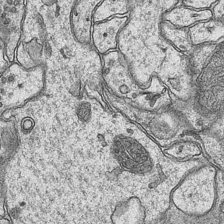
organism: Mouse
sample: CA1 Hippocampus